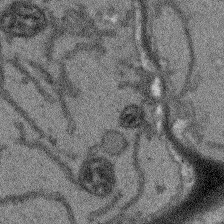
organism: Arabidopsis thaliana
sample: Root tip